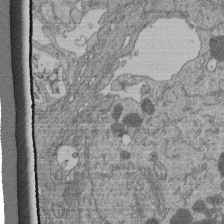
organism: Human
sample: Retinal organoid Rod and Cone cells